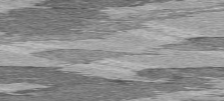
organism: C57BL Mouse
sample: Heart